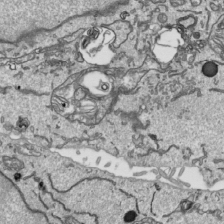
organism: Human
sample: Mitochondria in HCT116 cells